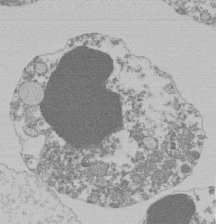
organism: Mouse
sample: Activated Pmel transgenic CD8+ T Cells